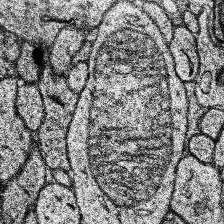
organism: Human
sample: Temporal Lobe